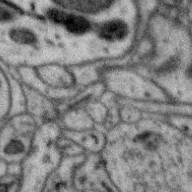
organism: Zebra finch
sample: Brain